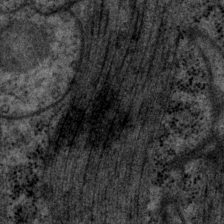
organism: P. pacificus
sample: Pharynx